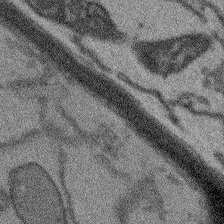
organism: Arabidopsis thaliana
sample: Root tip